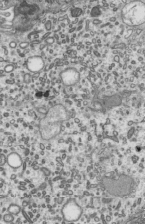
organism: Mouse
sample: Mouse epididymis efferent ductule cilia